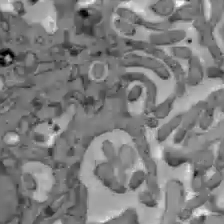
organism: C57BL Mouse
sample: Liver